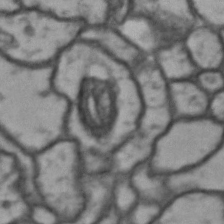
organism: Drosophila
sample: Brain